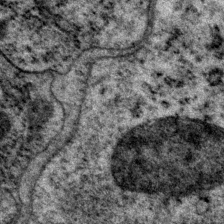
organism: P. pacificus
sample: Pharynx